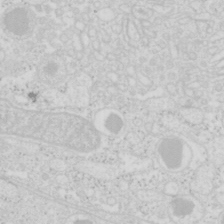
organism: Mouse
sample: Pancreas